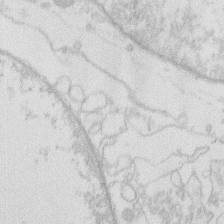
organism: Human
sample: Macrophage cells